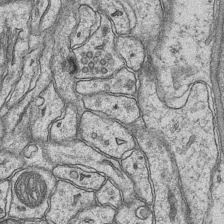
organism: Mouse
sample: CA1 Hippocampus